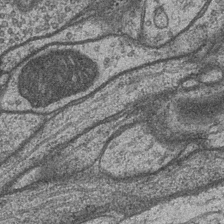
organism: Drosophila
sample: Optic medulla